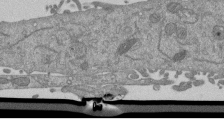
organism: Mouse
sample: ED-1 cell nuclei; centrioles